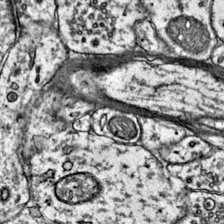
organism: Mouse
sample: Primary visual cortex